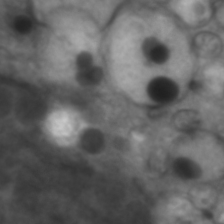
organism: C. elegans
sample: Pharynx